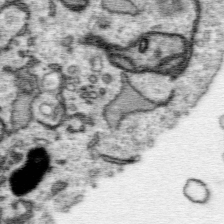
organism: Human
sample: HeLa cells